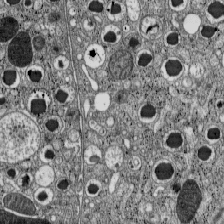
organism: C57BL Mouse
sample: Pancreatic islet